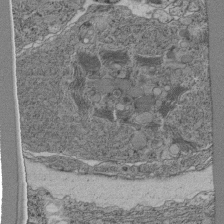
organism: C. elegans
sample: C. elegans pharynx